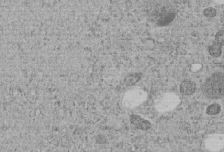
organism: C. elegans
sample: C. elegans embryo early stage